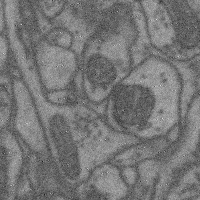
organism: Mouse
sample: Cerebral cortex